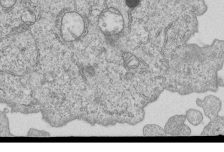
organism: Human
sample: MDA-MB-231 cells